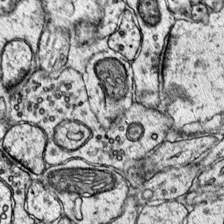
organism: Mouse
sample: Primary visual cortex